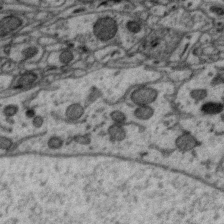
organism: Zebra finch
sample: Brain